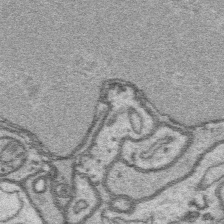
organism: Platynereis dumerilii